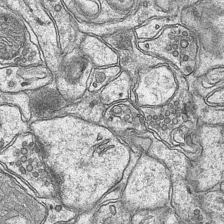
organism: Mouse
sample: CA1 Hippocampus